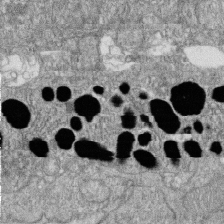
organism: Zebrafish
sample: Cilia; retinal pigment epithelium